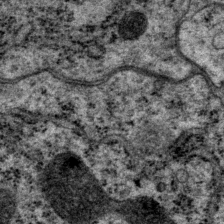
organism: P. pacificus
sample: Pharynx